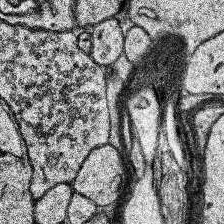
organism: Human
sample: Temporal Lobe